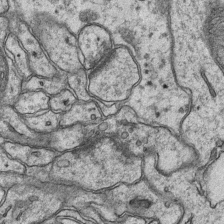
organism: Mouse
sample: CA1 Hippocampus